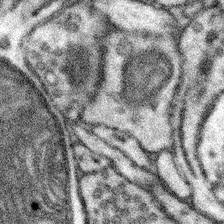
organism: Mouse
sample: Somatosensory cortex neuropil